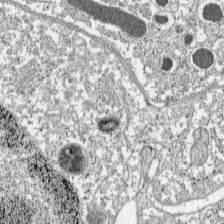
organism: C57BL Mouse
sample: Pancreatic islet